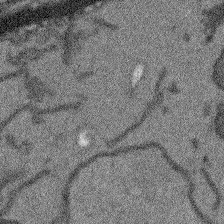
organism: Arabidopsis thaliana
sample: Root tip